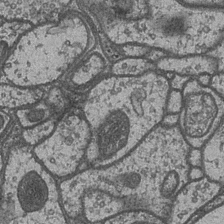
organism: Drosophila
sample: Optic medulla